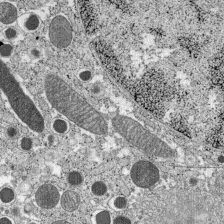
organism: C57BL Mouse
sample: Pancreatic islet